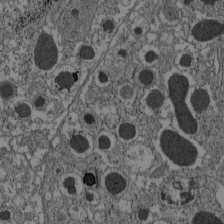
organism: C57BL Mouse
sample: Pancreatic islet